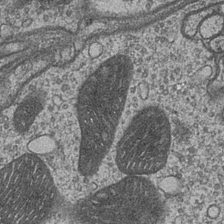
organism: Drosophila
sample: Optic medulla